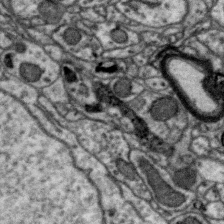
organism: Zebra finch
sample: Brain